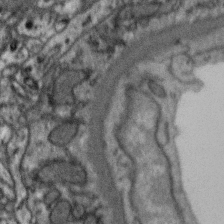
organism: Zebra finch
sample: Brain